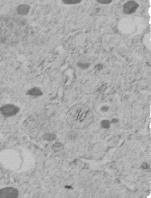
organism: C. elegans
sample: C. elegans embryo early stage